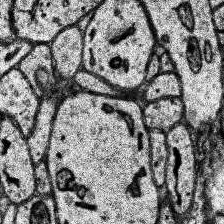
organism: Human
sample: Temporal Lobe